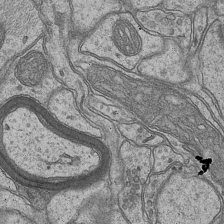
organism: Mouse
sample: CA1 Hippocampus